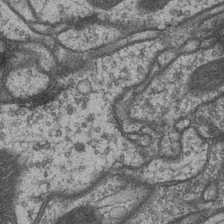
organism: Drosophila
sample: Optic medulla